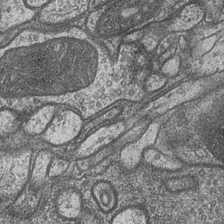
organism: Drosophila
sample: Optic medulla